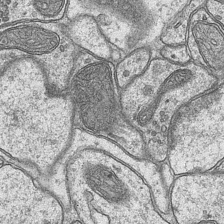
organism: Mouse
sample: CA1 Hippocampus